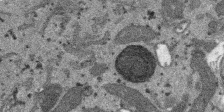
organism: Human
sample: Lung epithelial cells infected with SARS-CoV-2